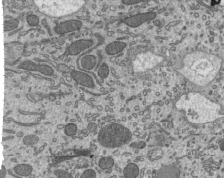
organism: Mouse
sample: Mouse epididymis efferent ductule cilia